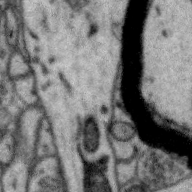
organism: Zebra finch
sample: Brain